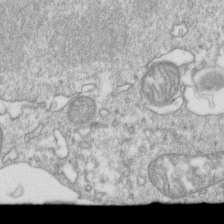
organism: Mouse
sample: Activated OT-1 CD8+ T cells